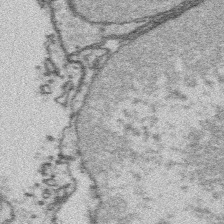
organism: Platynereis dumerilii